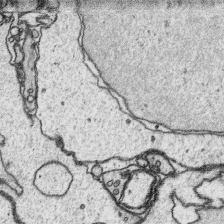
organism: Platynereis dumerilii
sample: Parapodia